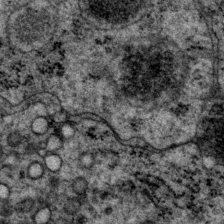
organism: P. pacificus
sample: Pharynx